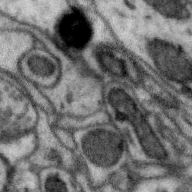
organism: Zebra finch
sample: Brain